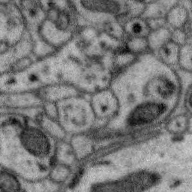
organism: Zebra finch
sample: Brain